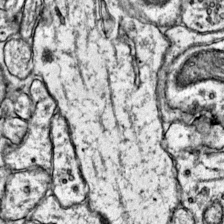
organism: Mouse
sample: Primary visual cortex